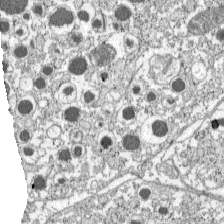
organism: C57BL Mouse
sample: Pancreatic islet